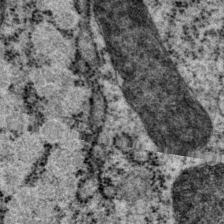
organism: P. pacificus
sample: Pharynx